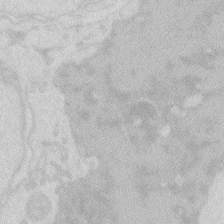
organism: Zebrafish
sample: Macrophage